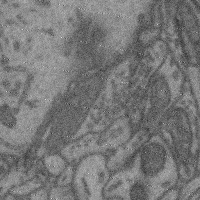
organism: Mouse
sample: Cerebral cortex